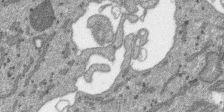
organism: Human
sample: Lung epithelial cells infected with SARS-CoV-2